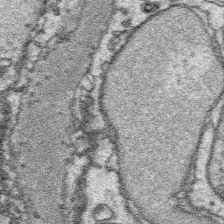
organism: Platynereis dumerilii